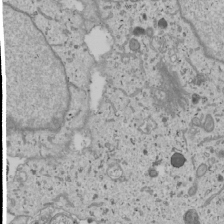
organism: Human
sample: Mitochondria in U2OS cells